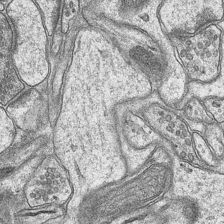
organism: Mouse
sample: CA1 Hippocampus